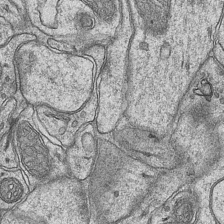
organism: Mouse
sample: CA1 Hippocampus